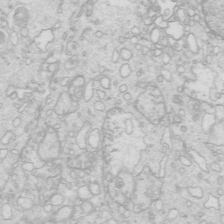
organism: Mouse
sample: Multiciliated cells